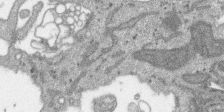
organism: Human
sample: Lung epithelial cells infected with SARS-CoV-2